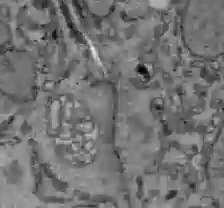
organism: C57BL Mouse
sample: Liver